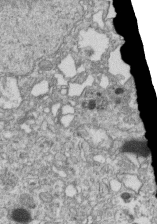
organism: Human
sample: HeLa cell HIV synapse